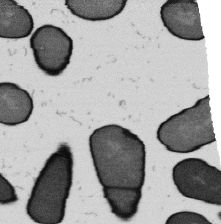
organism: B. subtilis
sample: Bacterial spore